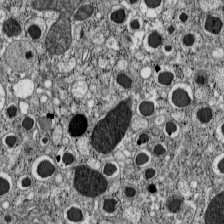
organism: C57BL Mouse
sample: Pancreatic islet